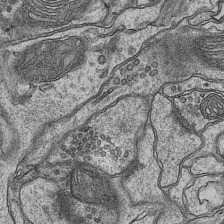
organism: Mouse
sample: CA1 Hippocampus